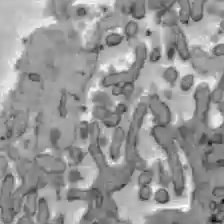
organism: C57BL Mouse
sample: Liver